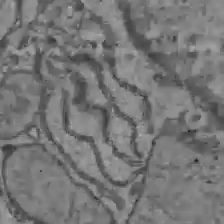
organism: C57BL Mouse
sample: Liver